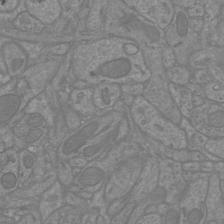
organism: Mouse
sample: Cortical neurons